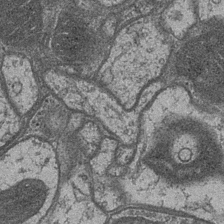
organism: Drosophila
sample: Optic medulla